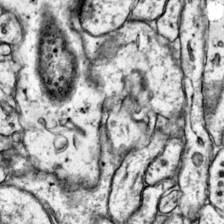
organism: Mouse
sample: Primary visual cortex